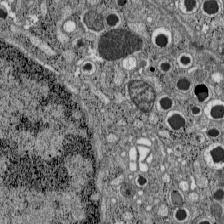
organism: C57BL Mouse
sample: Pancreatic islet